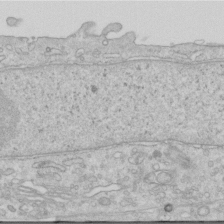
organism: Human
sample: Centriole in RPE cells